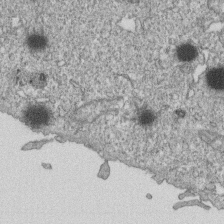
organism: Human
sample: HeLa cell HIV synapse